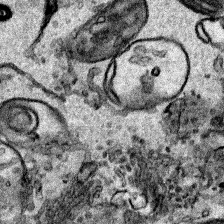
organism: Human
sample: Mitochondria in HCT116 cells